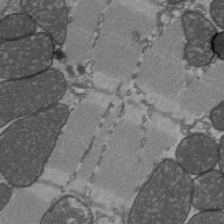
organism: C57BL Mouse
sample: Heart